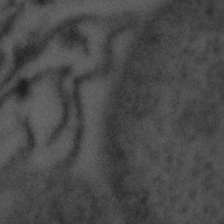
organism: Tuwongella immobilis